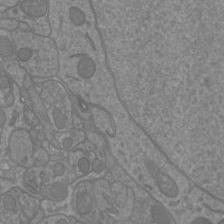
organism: Mouse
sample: Cortical neurons